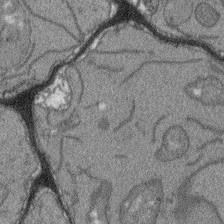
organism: Arabidopsis thaliana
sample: Root tip